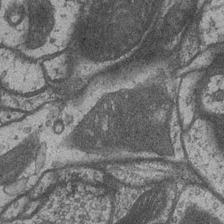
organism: Drosophila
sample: Optic medulla